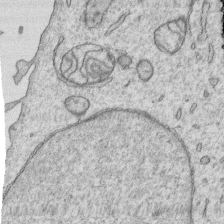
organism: Human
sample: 1205lu cells